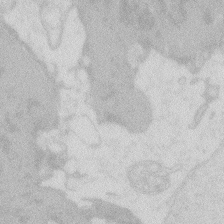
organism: Zebrafish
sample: Macrophage